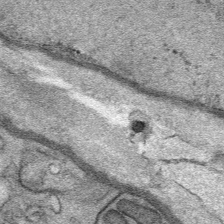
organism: Mouse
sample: Mouse Salivary gland